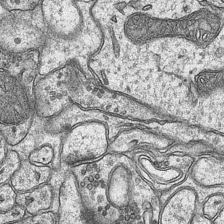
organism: Mouse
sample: CA1 Hippocampus